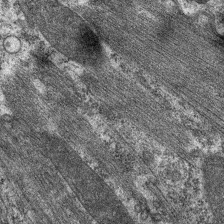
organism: C. elegans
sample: Pharynx